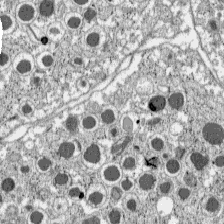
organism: C57BL Mouse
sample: Pancreatic islet